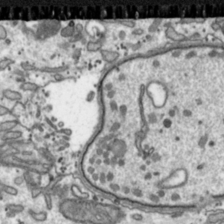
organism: Toxoplasma gondii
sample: Parasites in a vacuole inside a host cell